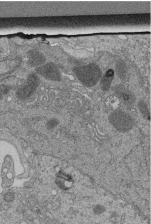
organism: Human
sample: Retinal organoid Rod and Cone cells